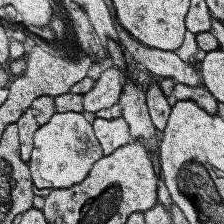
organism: Human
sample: Temporal Lobe